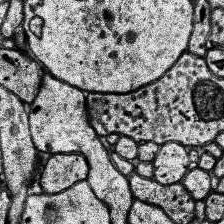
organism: Human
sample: Temporal Lobe